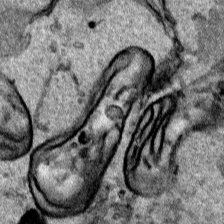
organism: Human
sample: Mitochondria in HCT116 cells